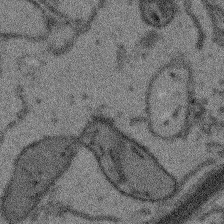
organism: Arabidopsis thaliana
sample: Root tip